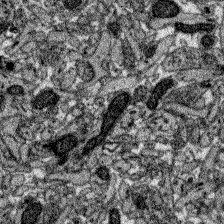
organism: Zebrafish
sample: Larval olfactory bulb